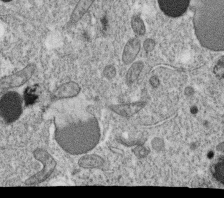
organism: C. elegans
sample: C. elegans oocyte; sperm cells